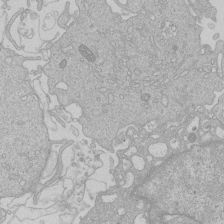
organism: Human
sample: Macrophage cells